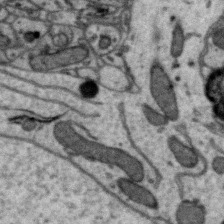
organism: Zebra finch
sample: Brain